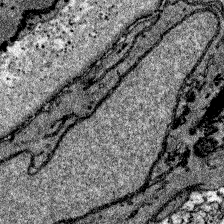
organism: Zebrafish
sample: Larval olfactory bulb